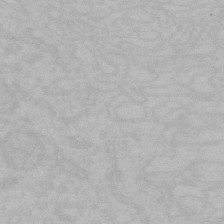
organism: Mouse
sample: Choroid plexus